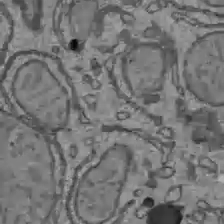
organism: C57BL Mouse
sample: Liver